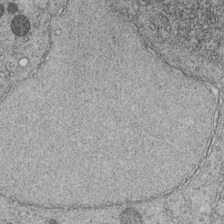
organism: C. elegans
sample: C. elegans embryo early stage